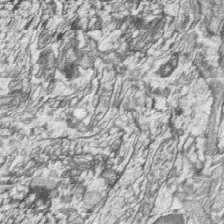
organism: Zebrafish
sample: synaptic ribbons in rod cells and cone cells